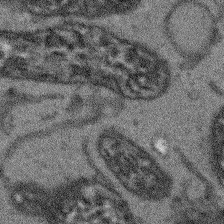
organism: Arabidopsis thaliana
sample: Root tip